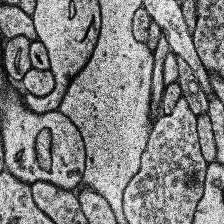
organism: Human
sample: Temporal Lobe